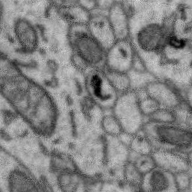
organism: Zebra finch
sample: Brain